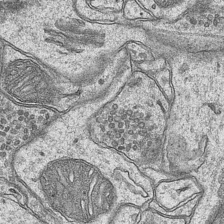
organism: Mouse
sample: CA1 Hippocampus